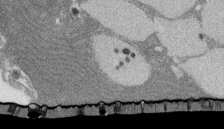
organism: Rat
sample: Salivary granule